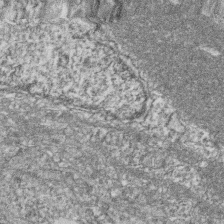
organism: Zebrafish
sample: Cilia; retinal pigment epithelium